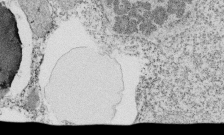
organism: Tetrahymena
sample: Cilia in tetrahymena